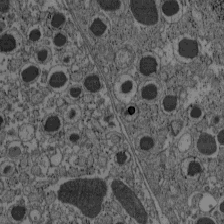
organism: C57BL Mouse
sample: Pancreatic islet